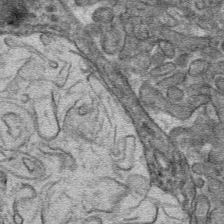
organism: Mouse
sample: Mouse hepatocytes